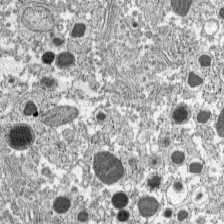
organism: C57BL Mouse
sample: Pancreatic islet